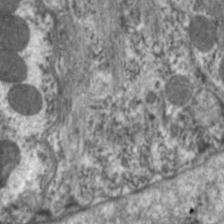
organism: C. elegans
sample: Pharynx